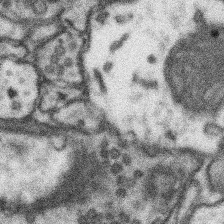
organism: Mouse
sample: Somatosensory cortex neuropil